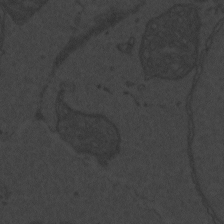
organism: Zebrafish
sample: Macrophage infected with Toxoplasma gondii